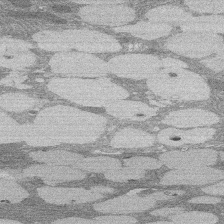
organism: Rat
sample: Salivary granule